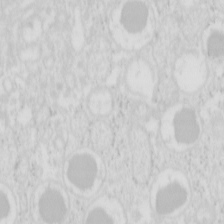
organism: Mouse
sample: Pancreas